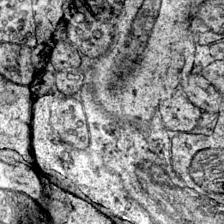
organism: Mouse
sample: Primary visual cortex